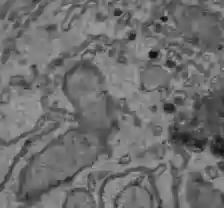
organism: C57BL Mouse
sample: Liver